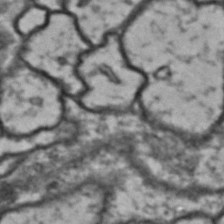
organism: Drosophila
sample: Brain